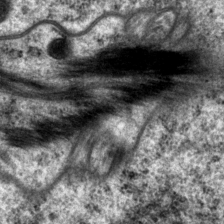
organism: P. pacificus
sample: Pharynx